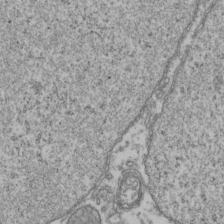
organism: Human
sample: Activated Jurkat CD4+ T cells